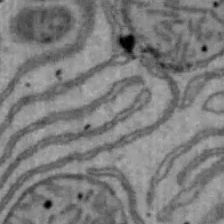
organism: Mouse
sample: Liver